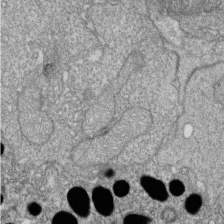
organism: Zebrafish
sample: Cilia; retinal pigment epithelium